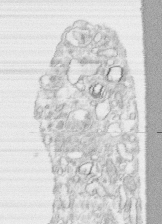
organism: Human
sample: CRL-1474